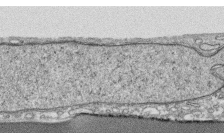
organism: Human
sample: CRL-1474